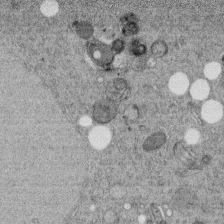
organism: C. elegans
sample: C. elegans embryo early stage